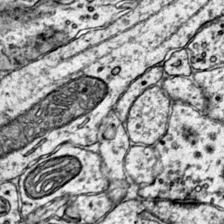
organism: Mouse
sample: Primary visual cortex